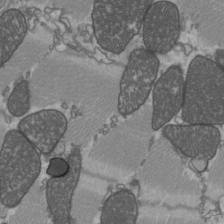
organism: C57BL Mouse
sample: Heart